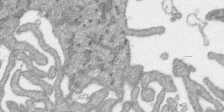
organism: Human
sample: Lung epithelial cells infected with SARS-CoV-2